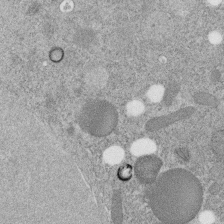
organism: C. elegans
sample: C. elegans embryo early stage